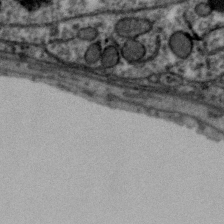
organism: Zebra finch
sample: Brain